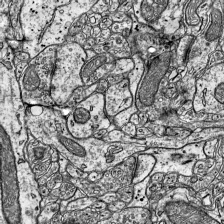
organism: Mouse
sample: Visual Cortex